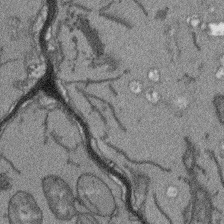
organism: Arabidopsis thaliana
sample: Root tip